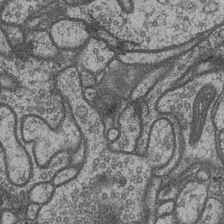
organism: Drosophila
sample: Optic medulla